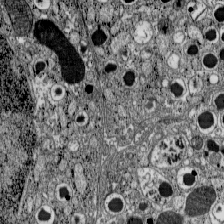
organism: C57BL Mouse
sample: Pancreatic islet